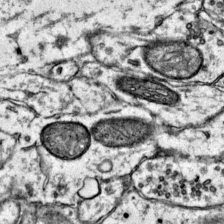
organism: Mouse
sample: Primary visual cortex